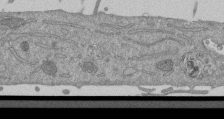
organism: Mouse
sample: ED-1 cell nuclei; centrioles